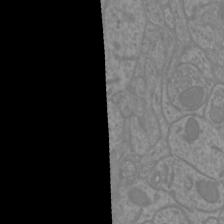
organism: Mouse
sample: Cortical neurons